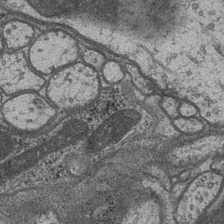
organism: Drosophila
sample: Optic medulla